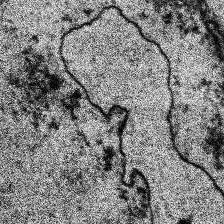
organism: Human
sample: Temporal Lobe